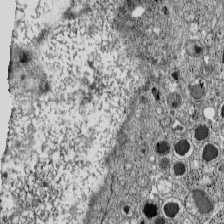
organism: C57BL Mouse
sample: Pancreatic islet